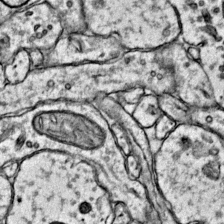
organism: Mouse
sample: Primary visual cortex